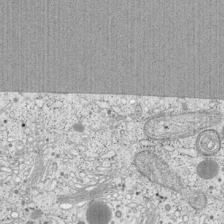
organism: African green monkey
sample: COS-7 cells